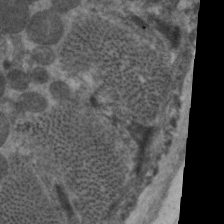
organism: C. elegans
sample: Pharynx